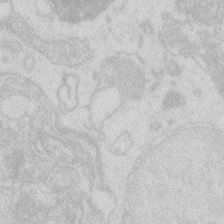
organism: Zebrafish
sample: Macrophage